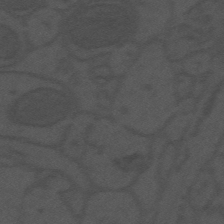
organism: Mouse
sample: Suprachiasmatic nucleus